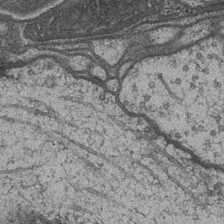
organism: Drosophila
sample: Optic medulla